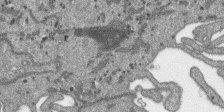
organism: Human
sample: Lung epithelial cells infected with SARS-CoV-2